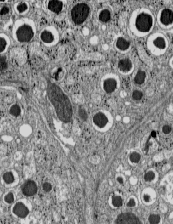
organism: C57BL Mouse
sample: Pancreatic islet